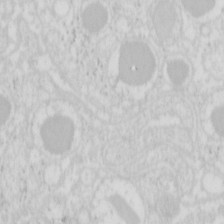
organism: Mouse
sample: Pancreas